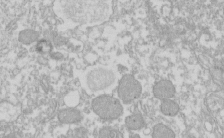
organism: Xenopus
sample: Cilia; centrioles in frog embryo cells